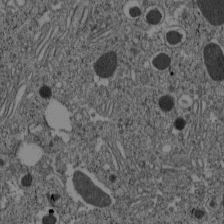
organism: C57BL Mouse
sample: Pancreatic islet